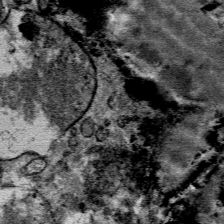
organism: Mouse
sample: Mouse Salivary gland